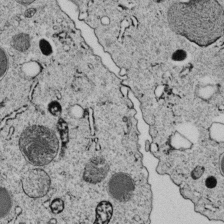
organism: C. elegans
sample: C. elegans embryo early stage